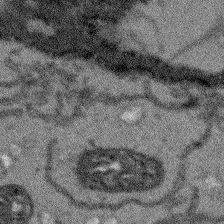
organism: Arabidopsis thaliana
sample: Root tip